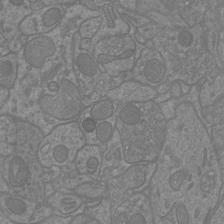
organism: Mouse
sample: Cortical neurons